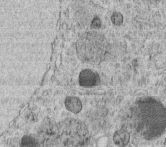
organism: C. elegans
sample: C. elegans embryo early stage